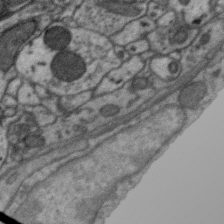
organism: Zebra finch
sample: Brain